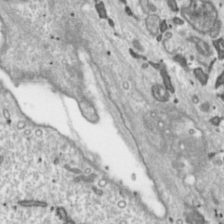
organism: Toxoplasma gondii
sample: Parasites in a vacuole inside a host cell